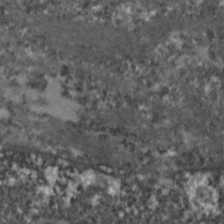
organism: Zebrafish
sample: Zebrafish embryo